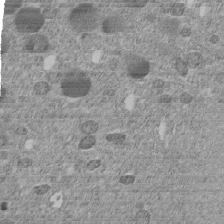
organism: C. elegans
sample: C. elegans embryo early stage